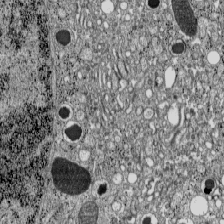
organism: C57BL Mouse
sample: Pancreatic islet